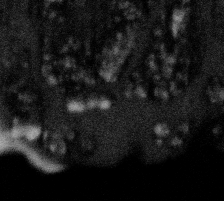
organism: Gemmata obscuriglobus